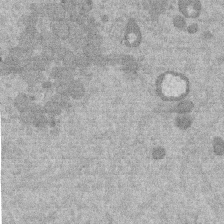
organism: Mouse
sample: Dividing mouse embryo 1 cell stage